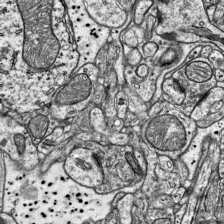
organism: Mouse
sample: Visual Cortex